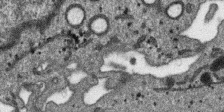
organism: Human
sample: Lung epithelial cells infected with SARS-CoV-2